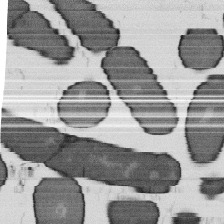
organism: B. subtilis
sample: Bacterial spore